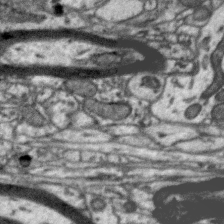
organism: Zebra finch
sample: Brain